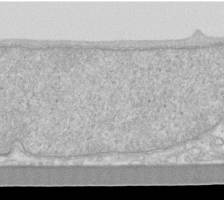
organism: Human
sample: Fibroblast cells